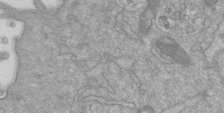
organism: Mouse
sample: ED-1 cell nuclei; centrioles